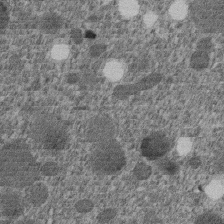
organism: C. elegans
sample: C. elegans embryo early stage